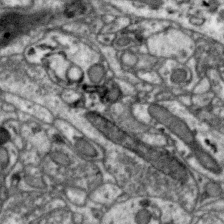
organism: Zebra finch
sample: Brain